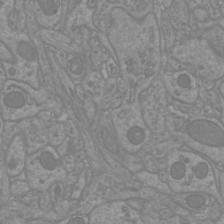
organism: Mouse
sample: Cortical neurons